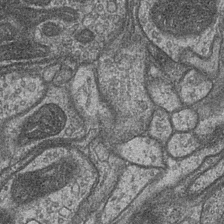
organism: Drosophila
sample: Optic medulla